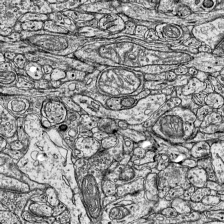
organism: Mouse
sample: Visual Cortex